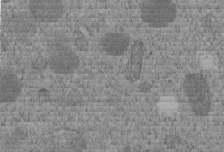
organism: C. elegans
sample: C. elegans embryo early stage